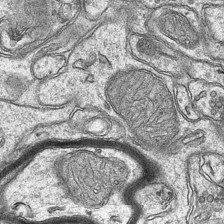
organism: Mouse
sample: CA1 Hippocampus